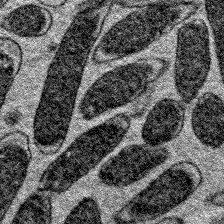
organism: E. coli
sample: E. Coli Bacteria